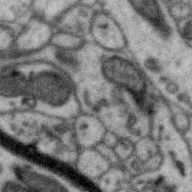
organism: Zebra finch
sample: Brain